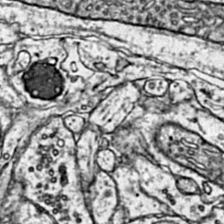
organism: Mouse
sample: Primary visual cortex